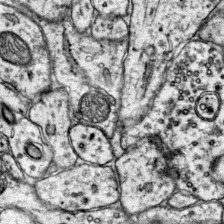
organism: Mouse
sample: Primary visual cortex